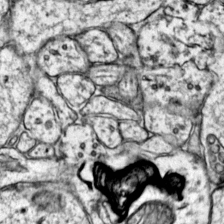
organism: Mouse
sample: Primary visual cortex